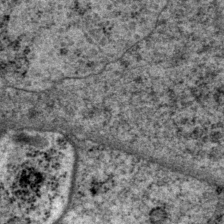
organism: P. pacificus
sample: Pharynx